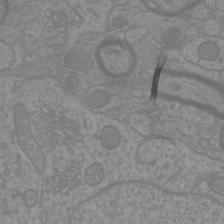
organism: Mouse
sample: Cortical neurons